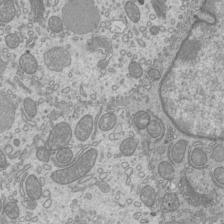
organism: Mouse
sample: Cilia; mouse epididymis